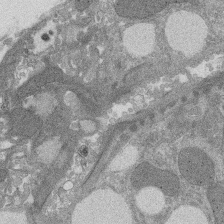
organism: Rat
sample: Salivary granule